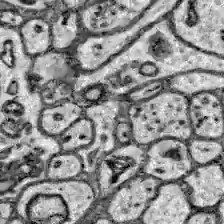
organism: Zebrafish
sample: Brain